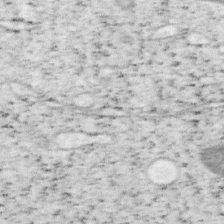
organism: Mouse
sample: OT-I killer T cells with ID8 ovarian cancer cells